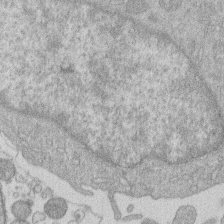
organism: Human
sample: Macrophage cells